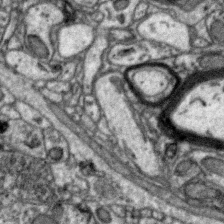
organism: Zebra finch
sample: Brain